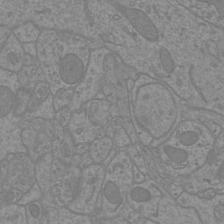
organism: Mouse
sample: Cortical neurons